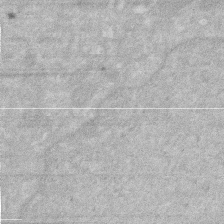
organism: Human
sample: HIV infected U937 cells